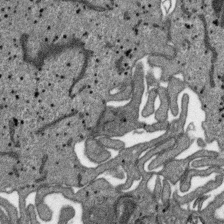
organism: Human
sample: Lung epithelial cells, uninfected (mock) control